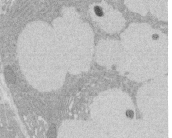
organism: Rat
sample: Salivary granule